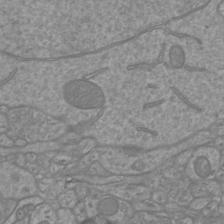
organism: Mouse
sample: Cortical neurons